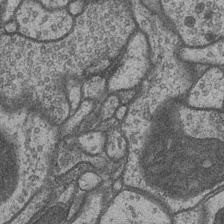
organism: Drosophila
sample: Optic medulla